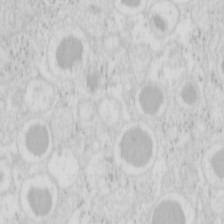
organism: Mouse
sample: Pancreas